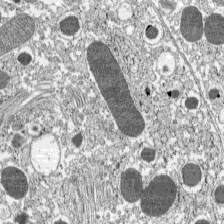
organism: C57BL Mouse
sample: Pancreatic islet